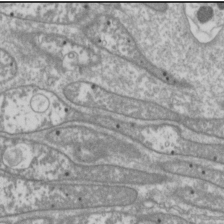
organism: Drosophila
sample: Cell division; meiosis; drosophila spermatocytes